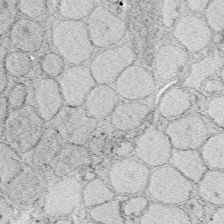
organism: Zebrafish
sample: Whole-Brain